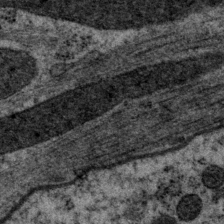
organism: P. pacificus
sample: Pharynx